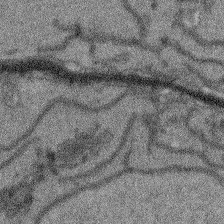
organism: Arabidopsis thaliana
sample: Root tip